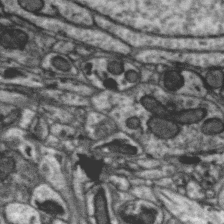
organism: Zebra finch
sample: Brain